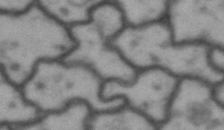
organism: Drosophila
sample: Brain